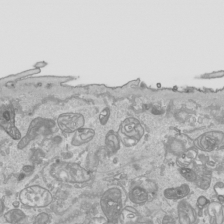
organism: Human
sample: Mitochondria in HCT116 cells